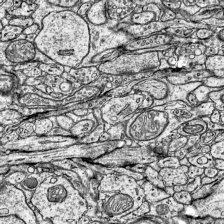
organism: Mouse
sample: Visual Cortex